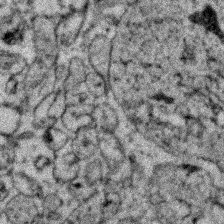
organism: Zebrafish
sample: Zebrafish embryo